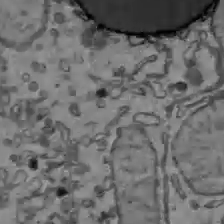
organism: C57BL Mouse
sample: Liver